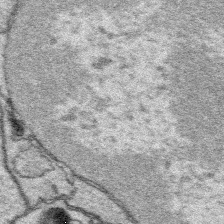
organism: Platynereis dumerilii